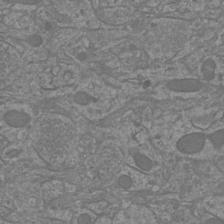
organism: Mouse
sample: Cortical neurons